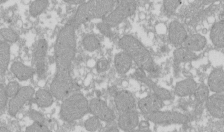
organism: Xenopus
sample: Cilia; centrioles in frog embryo cells